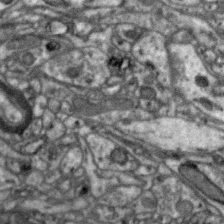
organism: Zebra finch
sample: Brain